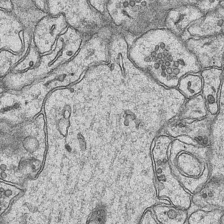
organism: Mouse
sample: CA1 Hippocampus